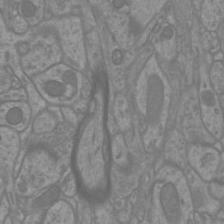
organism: Mouse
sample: Cortical neurons